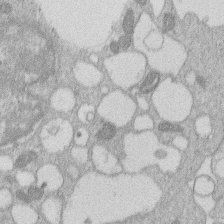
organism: Human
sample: Macrophage cells